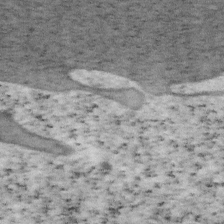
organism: Mouse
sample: OT-I killer T cells with ID8 ovarian cancer cells